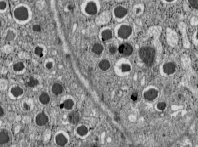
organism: C57BL Mouse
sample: Pancreatic islet